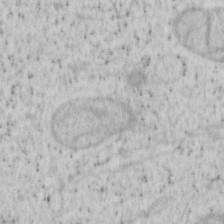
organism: Human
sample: HeLa cells